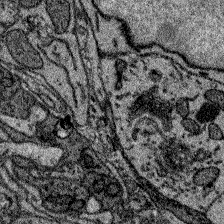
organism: Zebrafish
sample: Larval olfactory bulb